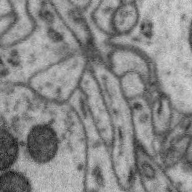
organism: Zebra finch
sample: Brain